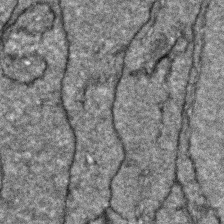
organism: Zebrafish